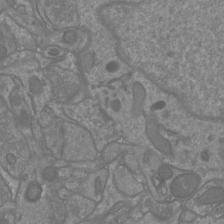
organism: Mouse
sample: Cortical neurons